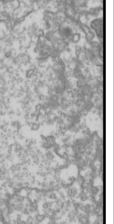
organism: Drosophila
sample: Cell division; meiosis; drosophila spermatocytes